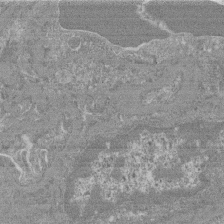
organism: Mouse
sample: Glomerulus